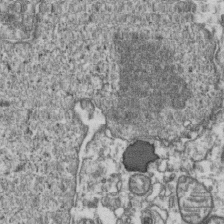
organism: Human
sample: Activated Jurkat CD4+ T cells